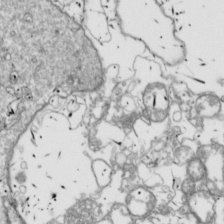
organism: Drosophila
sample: Cell division; meiosis; drosophila spermatocytes